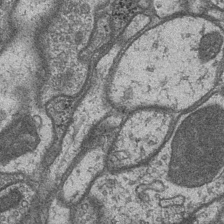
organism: Drosophila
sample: Optic medulla